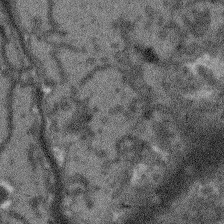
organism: Arabidopsis thaliana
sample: Root tip